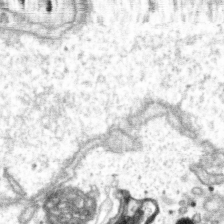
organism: Human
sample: HeLa cells